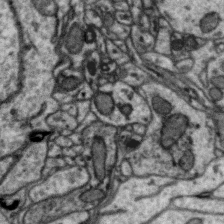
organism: Zebra finch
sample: Brain